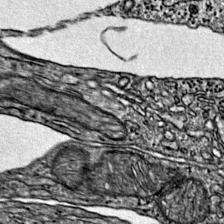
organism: Mouse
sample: Primary visual cortex